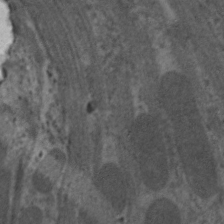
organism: C. elegans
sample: Pharynx